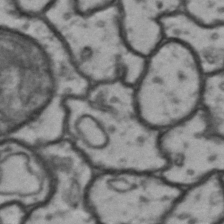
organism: Drosophila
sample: Brain